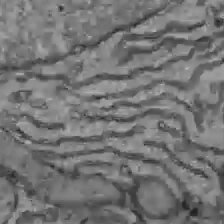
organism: C57BL Mouse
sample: Liver